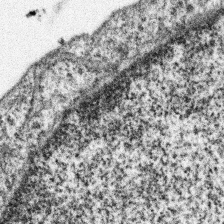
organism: Human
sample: HeLa cells